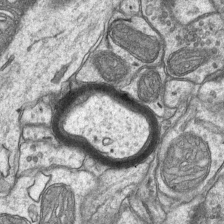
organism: Mouse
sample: CA1 Hippocampus